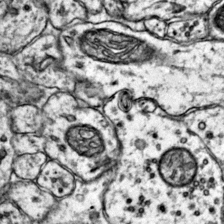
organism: Mouse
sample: Primary visual cortex